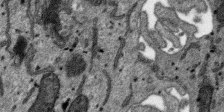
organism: Human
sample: Lung epithelial cells, uninfected (mock) control